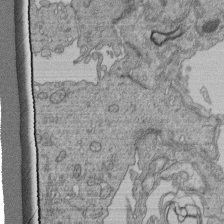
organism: Human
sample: Retinal organoid Rod and Cone cells